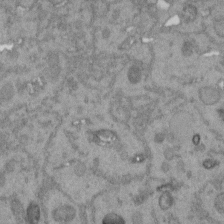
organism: C. elegans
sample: C. elegans embryo early stage